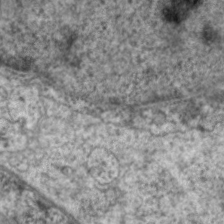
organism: C. elegans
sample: Pharynx